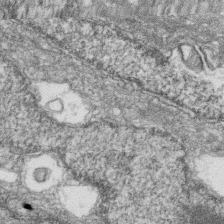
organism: Zebrafish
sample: Cilia; retinal pigment epithelium